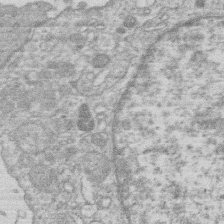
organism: Human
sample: Macrophage cells